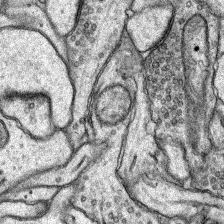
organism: Rat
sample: Hippocampus